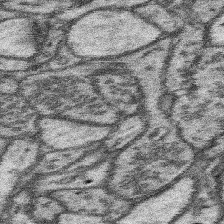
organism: Mouse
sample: Somatosensory cortex neuropil